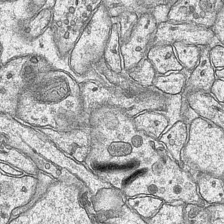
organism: Mouse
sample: CA1 Hippocampus